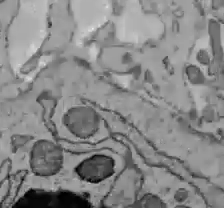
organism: C57BL Mouse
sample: Liver